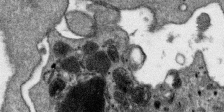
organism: Human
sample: Lung epithelial cells, uninfected (mock) control